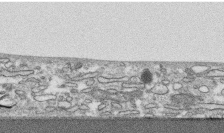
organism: Human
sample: CRL-1474